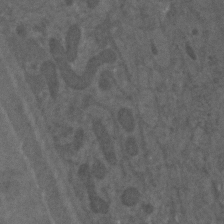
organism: C. elegans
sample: C. elegans embryo